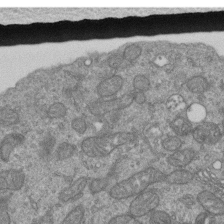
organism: Human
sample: Retinal organoid Rod and Cone cells